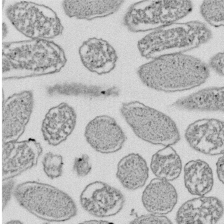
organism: E. coli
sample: Bacterial nucleoid